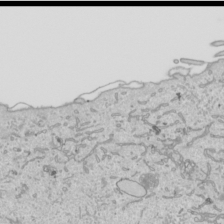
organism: Human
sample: Mitochondria in HCT116 cells